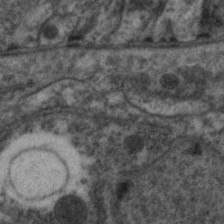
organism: C. elegans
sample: Pharynx